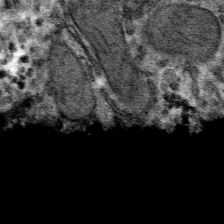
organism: Mouse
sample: Mouse hepatocytes